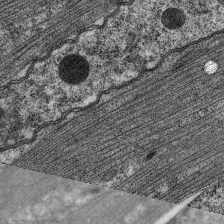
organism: C. elegans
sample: Pharynx